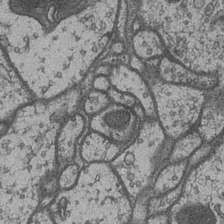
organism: Drosophila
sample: Optic medulla